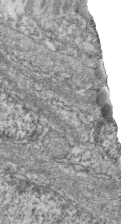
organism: Zebrafish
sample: Cilia; retinal pigment epithelium